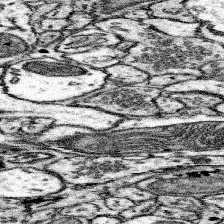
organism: Mouse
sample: Somatosensory cortex neuropil